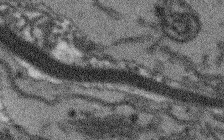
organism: Arabidopsis thaliana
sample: Root tip